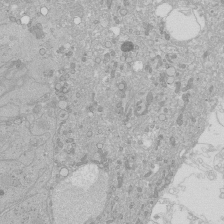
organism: Human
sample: Caco-2 cells